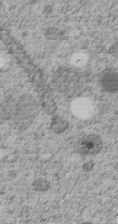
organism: C. elegans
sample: C. elegans embryo early stage